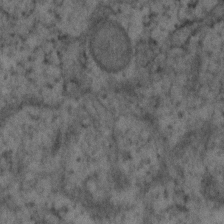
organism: Human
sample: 1205lu cells